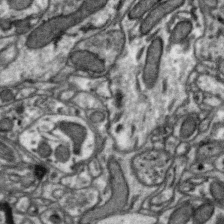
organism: Zebra finch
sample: Brain